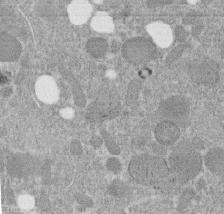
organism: C. elegans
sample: C. elegans embryo early stage